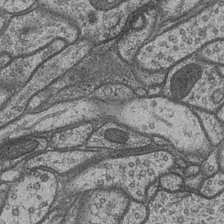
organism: Drosophila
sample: Optic medulla